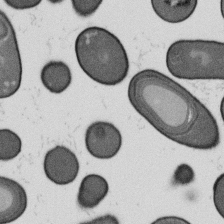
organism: B. subtilis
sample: Bacterial spore